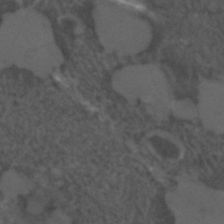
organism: C. elegans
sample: C. elegans embryo